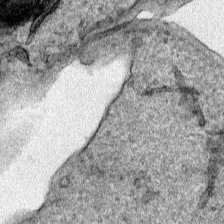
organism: Human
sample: Mitochondria in HCT116 cells